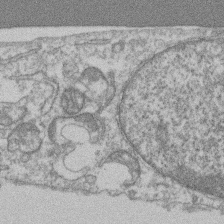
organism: Mouse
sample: T cell stromal cell synapse